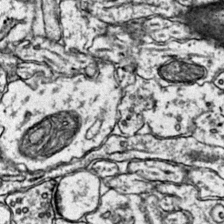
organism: Mouse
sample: Primary visual cortex